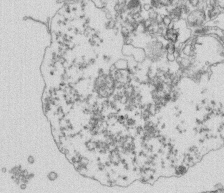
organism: Human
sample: HeLa cell HIV synapse